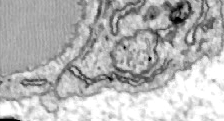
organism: Zebrafish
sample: Actinotrichia fibers